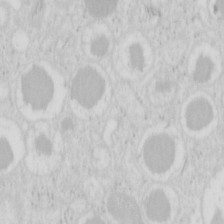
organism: Mouse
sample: Pancreas